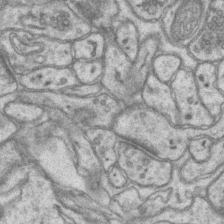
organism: Mouse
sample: CA1 Hippocampus